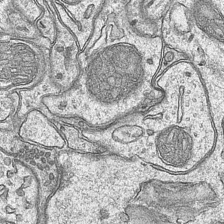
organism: Mouse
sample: CA1 Hippocampus